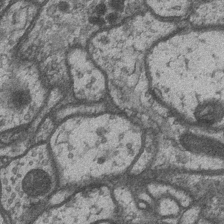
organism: Drosophila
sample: Optic medulla